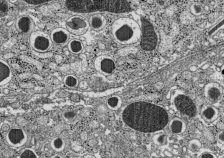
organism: C57BL Mouse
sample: Pancreatic islet